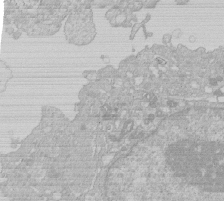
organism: Human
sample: Macrophage cells